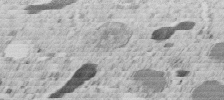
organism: C. elegans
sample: C. elegans embryo early stage